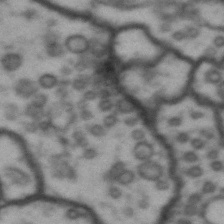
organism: Drosophila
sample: Brain